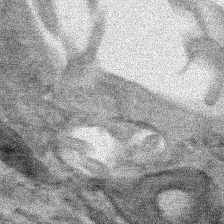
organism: Human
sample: Mitochondria in HCT116 cells